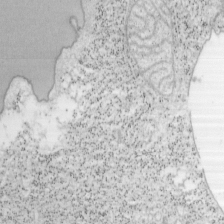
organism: Mouse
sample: OT-I killer T cells with ID8 ovarian cancer cells